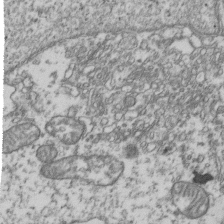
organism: Human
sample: Activated Jurkat CD4+ T cells